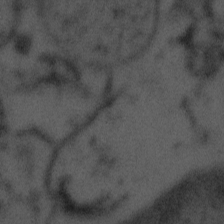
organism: Tuwongella immobilis